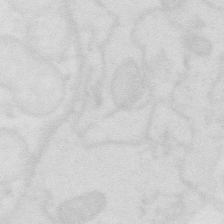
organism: Human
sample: HeLa cells